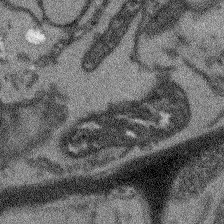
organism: Arabidopsis thaliana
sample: Root tip